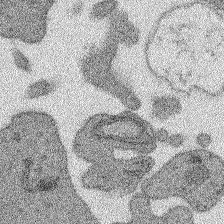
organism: Human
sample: HeLa cells